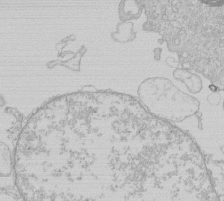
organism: Human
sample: Macrophage cells